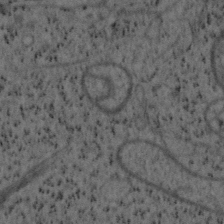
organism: Human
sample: HeLa cells